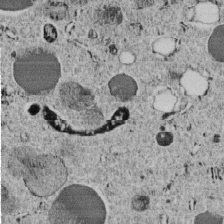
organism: C. elegans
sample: C. elegans embryo early stage